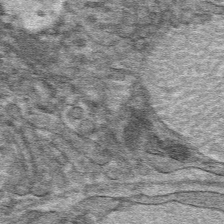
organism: Mouse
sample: Mouse hepatocytes